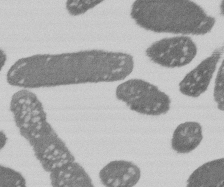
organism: E. coli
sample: Bacterial nucleoid